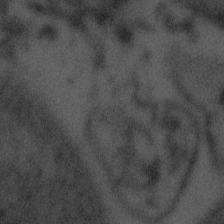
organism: Tuwongella immobilis